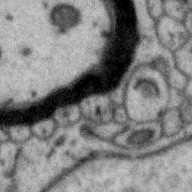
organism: Zebra finch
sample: Brain